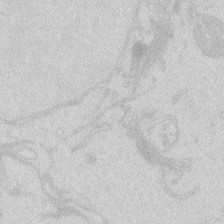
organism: Zebrafish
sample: Macrophage